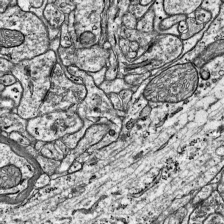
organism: Mouse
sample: Visual Cortex